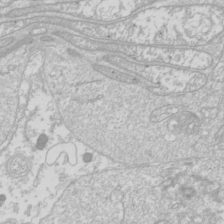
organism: Drosophila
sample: Cell division; meiosis; drosophila spermatocytes